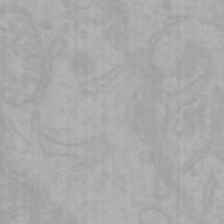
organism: Mouse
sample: Choroid plexus